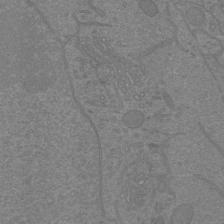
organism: Mouse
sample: Cortical neurons